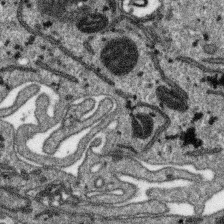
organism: Human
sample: Lung epithelial cells infected with SARS-CoV-2